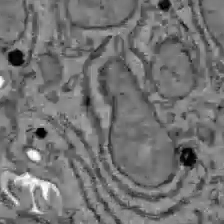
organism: C57BL Mouse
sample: Liver